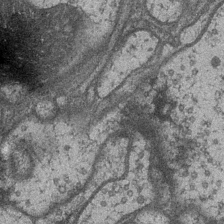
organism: Drosophila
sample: Optic medulla